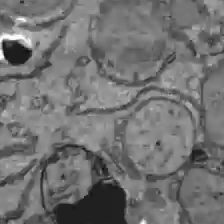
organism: C57BL Mouse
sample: Liver